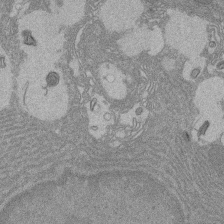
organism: Rat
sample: Salivary granule